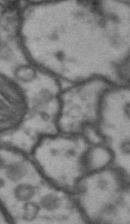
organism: Drosophila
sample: Brain